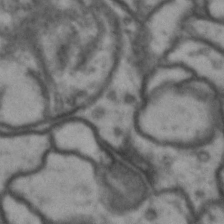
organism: Drosophila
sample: Brain